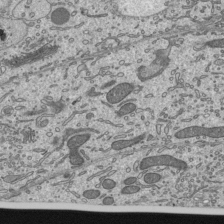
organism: Mouse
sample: Mouse epididymis efferent ductule cilia